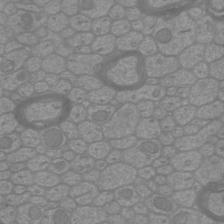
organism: Mouse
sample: Cortical neurons